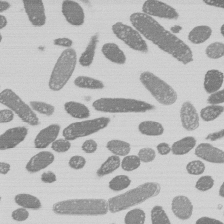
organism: E. coli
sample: Bacterial nucleoid